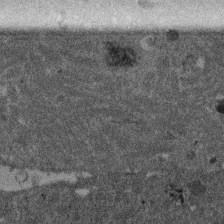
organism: Mouse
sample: Dividing mouse embryo 1 cell stage